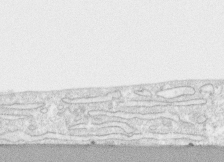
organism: Human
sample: CRL-1474